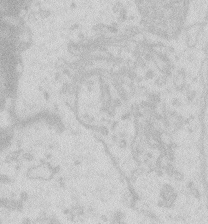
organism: Zebrafish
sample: Macrophage